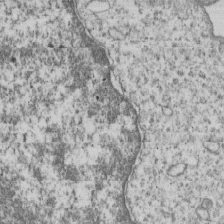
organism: Human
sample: MDA-MB-231 cells